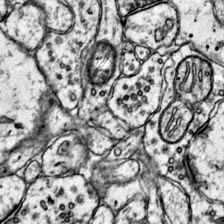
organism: Mouse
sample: Primary visual cortex